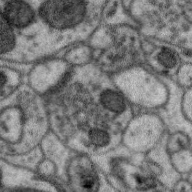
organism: Zebra finch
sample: Brain